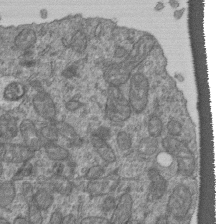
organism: Human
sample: Retinal organoid Rod and Cone cells